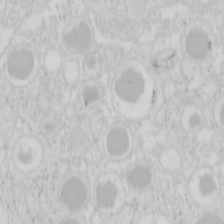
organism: Mouse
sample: Pancreas